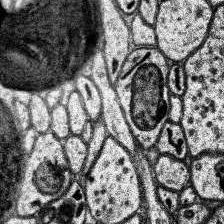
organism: Human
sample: Temporal Lobe